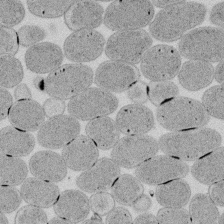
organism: E. coli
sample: Bacterial nucleoid